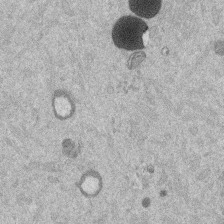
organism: Mouse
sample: Dividing mouse embryo 1 cell stage